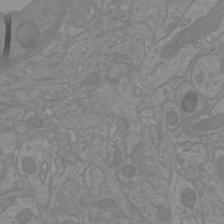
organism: Mouse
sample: Cortical neurons